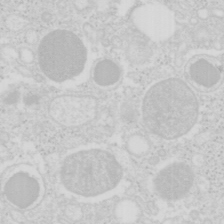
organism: Mouse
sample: Pancreas